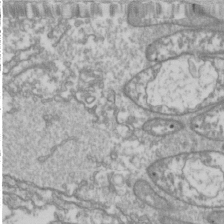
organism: Drosophila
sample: Cell division; meiosis; drosophila spermatocytes